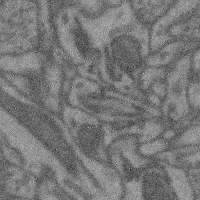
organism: Mouse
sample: Cerebral cortex